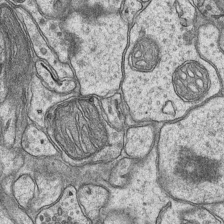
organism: Mouse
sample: CA1 Hippocampus